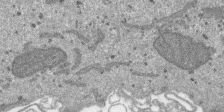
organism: Human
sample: Lung epithelial cells infected with SARS-CoV-2